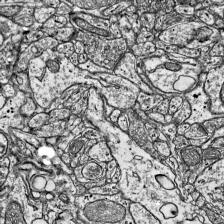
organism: Mouse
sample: Visual Cortex